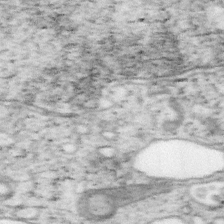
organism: Mouse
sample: OT-I killer T cells with ID8 ovarian cancer cells